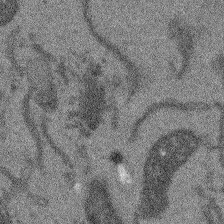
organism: Arabidopsis thaliana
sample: Root tip